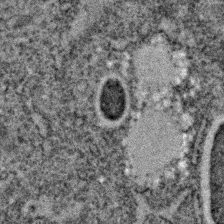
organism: C. elegans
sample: C. elegans embryo